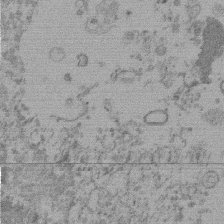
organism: Mouse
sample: Dividing mouse embryo 1 cell stage